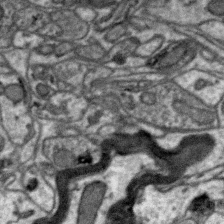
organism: Zebra finch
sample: Brain